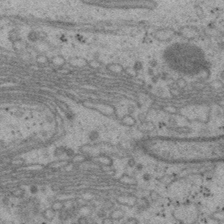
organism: Human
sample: HeLa cells